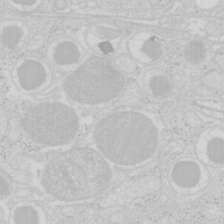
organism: Mouse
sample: Pancreas